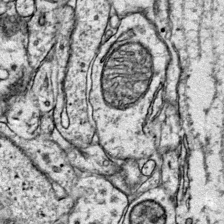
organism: Mouse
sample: Primary visual cortex